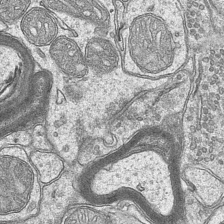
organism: Mouse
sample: CA1 Hippocampus